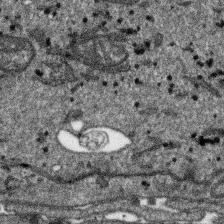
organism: Human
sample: Lung epithelial cells infected with SARS-CoV-2